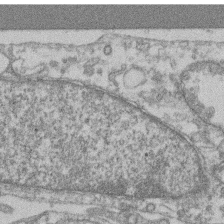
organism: Mouse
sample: T cell stromal cell synapse